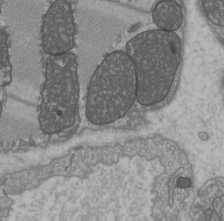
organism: C57BL Mouse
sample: Heart